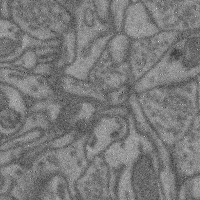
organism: Mouse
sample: Cerebral cortex